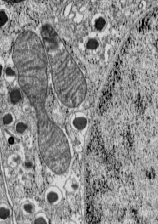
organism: C57BL Mouse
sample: Pancreatic islet